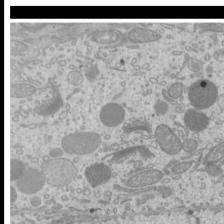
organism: Mouse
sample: Cilia; mouse epididymis